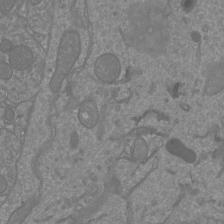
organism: Mouse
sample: Cortical neurons